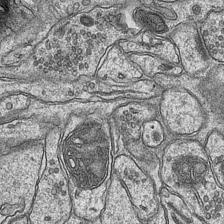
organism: Mouse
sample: CA1 Hippocampus